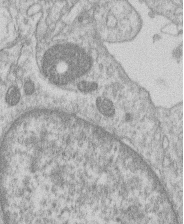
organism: Human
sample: Macrophage cells